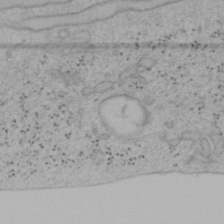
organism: Human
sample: HeLa cells